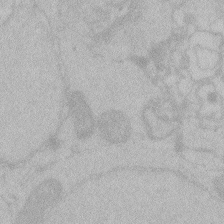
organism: Zebrafish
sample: Macrophage infected with Toxoplasma gondii